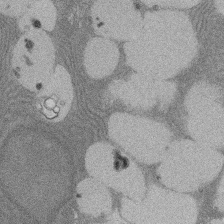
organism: Rat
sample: Salivary granule